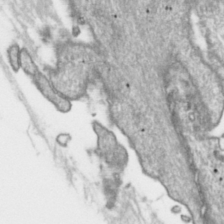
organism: Toxoplasma gondii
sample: Parasites in a vacuole inside a host cell